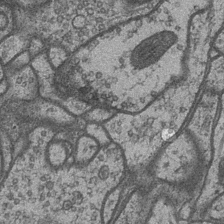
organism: Drosophila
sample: Optic medulla